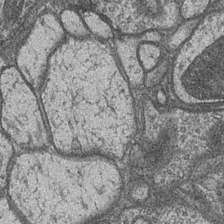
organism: Drosophila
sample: Optic medulla